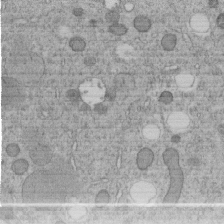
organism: C. elegans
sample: C. elegans embryo early stage